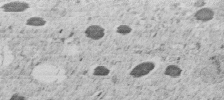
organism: C. elegans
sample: C. elegans embryo early stage